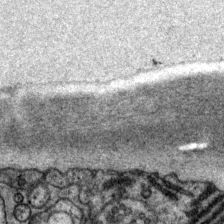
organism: P. pacificus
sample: Pharynx